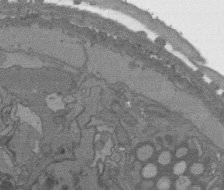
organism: C. elegans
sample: AFD neurons C. elegans